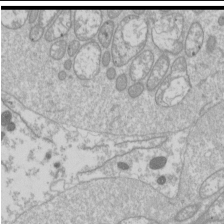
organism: Drosophila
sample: Cell division; meiosis; drosophila spermatocytes